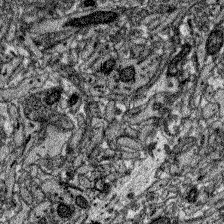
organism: Zebrafish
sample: Larval olfactory bulb